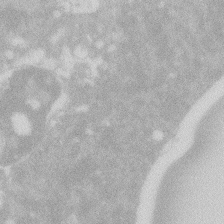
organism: Zebrafish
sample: Macrophage